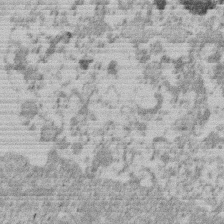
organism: Mouse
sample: Dividing mouse embryo 1 cell stage